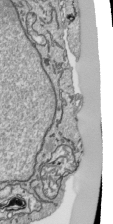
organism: Human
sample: Mitochondria in HCT116 cells